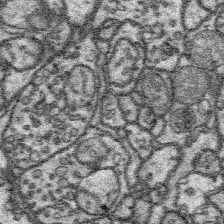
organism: Platynereis dumerilii